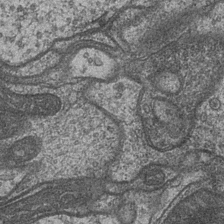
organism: Drosophila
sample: Optic medulla